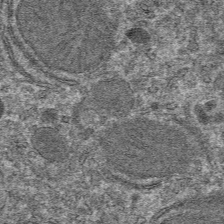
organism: Mouse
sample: Mouse hepatocytes